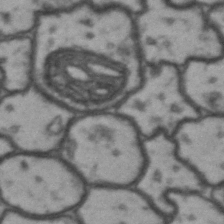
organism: Drosophila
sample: Brain